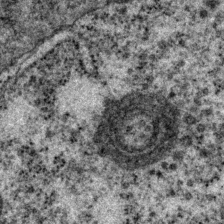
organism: P. pacificus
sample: Pharynx